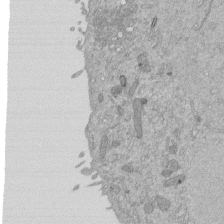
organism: Mouse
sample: ED-1 cell nuclei; centrioles